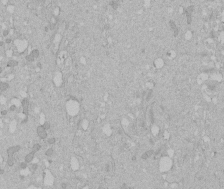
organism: Human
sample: Melanocyte Keratinocyte synapse skin construct